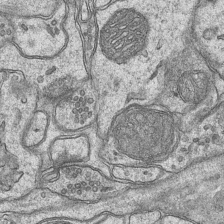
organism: Mouse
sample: CA1 Hippocampus